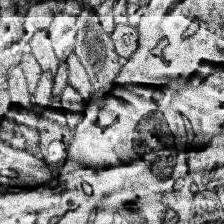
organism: Human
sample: Temporal Lobe